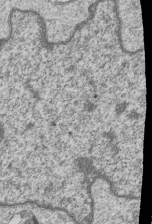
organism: Human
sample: MDA-MB-231 cells